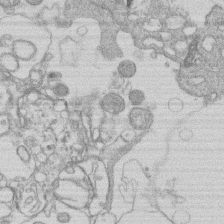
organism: Human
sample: Macrophage cells